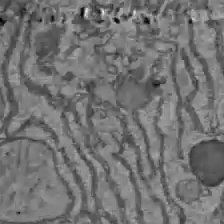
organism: C57BL Mouse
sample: Liver